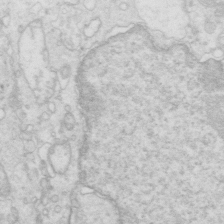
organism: Mouse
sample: Multiciliated cells